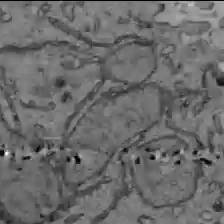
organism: C57BL Mouse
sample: Liver